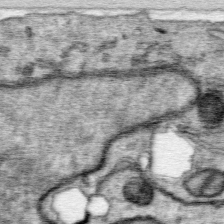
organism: Human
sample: HeLa cells